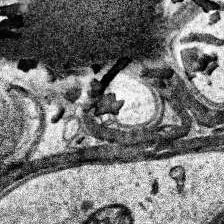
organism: Human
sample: Temporal Lobe